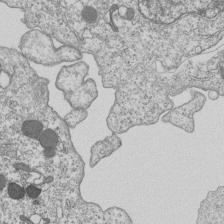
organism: Human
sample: MDA-MB-231 cells